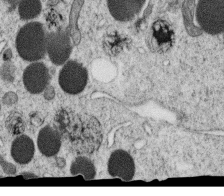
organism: C. elegans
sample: C. elegans oocyte; sperm cells